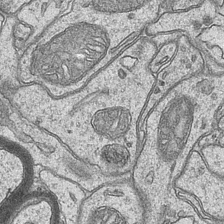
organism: Mouse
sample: CA1 Hippocampus